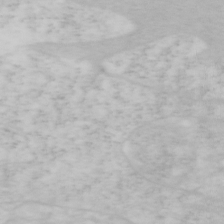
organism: Mouse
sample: OT-I killer T cells with ID8 ovarian cancer cells